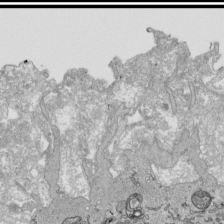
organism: Human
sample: Mitochondria in HCT116 cells